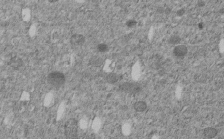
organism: C. elegans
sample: C. elegans embryo early stage